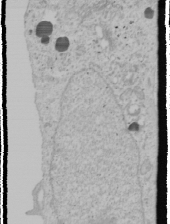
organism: Human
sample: Mitochondria in U2OS cells